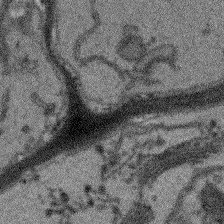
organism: Arabidopsis thaliana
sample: Root tip